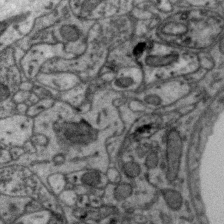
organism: Zebra finch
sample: Brain